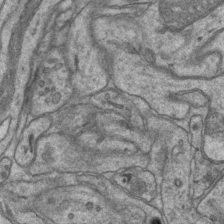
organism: Mouse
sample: CA1 Hippocampus